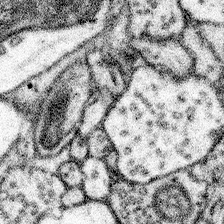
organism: Mouse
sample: Somatosensory cortex neuropil